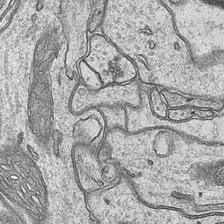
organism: Mouse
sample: CA1 Hippocampus